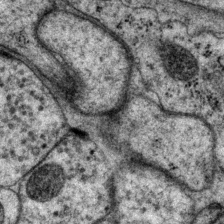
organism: P. pacificus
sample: Pharynx